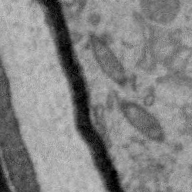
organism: Zebra finch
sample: Brain